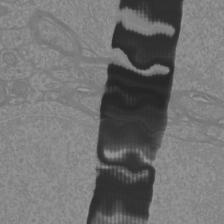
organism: Mouse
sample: Cortical neurons